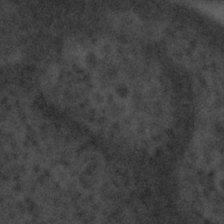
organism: Tuwongella immobilis